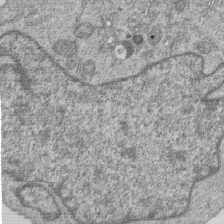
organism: Human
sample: MDA-MB-231 cells